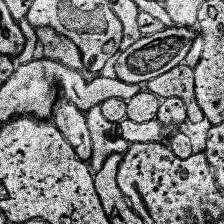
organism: Human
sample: Temporal Lobe